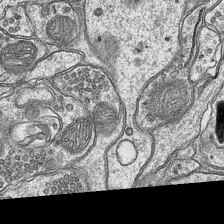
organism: Mouse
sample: CA1 Hippocampus